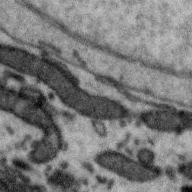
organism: Zebra finch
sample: Brain